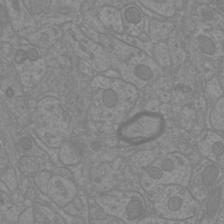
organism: Mouse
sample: Cortical neurons